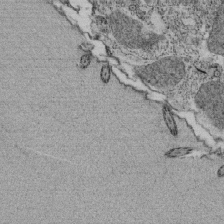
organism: Tetrahymena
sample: Cilia in tetrahymena